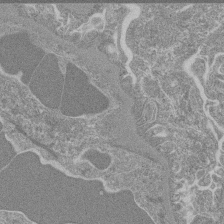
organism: Mouse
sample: Glomerulus